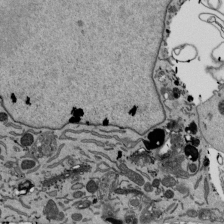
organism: Mouse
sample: ED-1 cell nuclei; centrioles